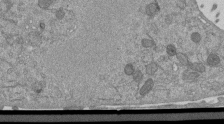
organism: Mouse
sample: ED-1 cell nuclei; centrioles